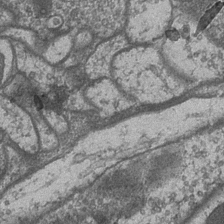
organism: Drosophila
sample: Optic medulla